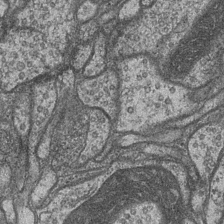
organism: Drosophila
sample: Optic medulla